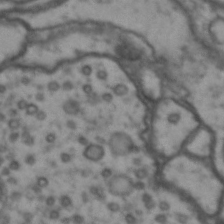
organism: Drosophila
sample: Brain